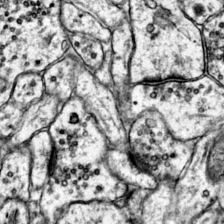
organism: Mouse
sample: Primary visual cortex